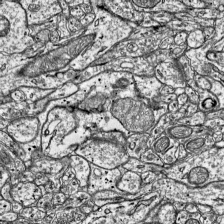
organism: Mouse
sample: Visual Cortex